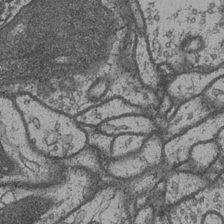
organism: Drosophila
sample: Optic medulla